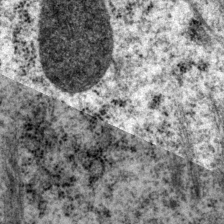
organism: P. pacificus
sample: Pharynx